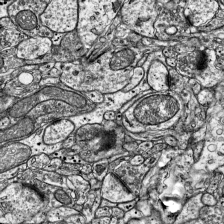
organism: Mouse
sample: Visual Cortex